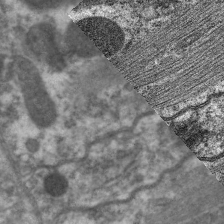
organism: C. elegans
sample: Pharynx